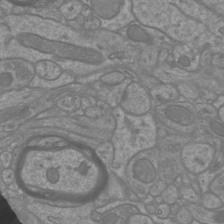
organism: Mouse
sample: Cortical neurons